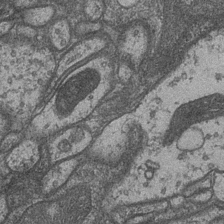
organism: Drosophila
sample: Optic medulla